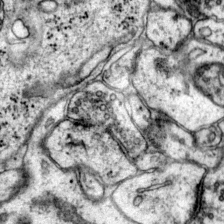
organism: Mouse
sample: Primary visual cortex